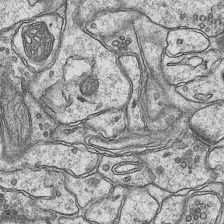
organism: Mouse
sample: CA1 Hippocampus